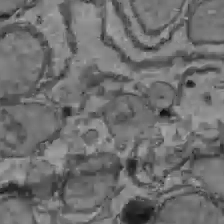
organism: C57BL Mouse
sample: Liver